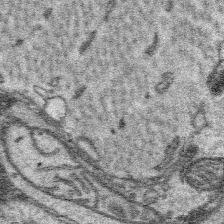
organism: Platynereis dumerilii